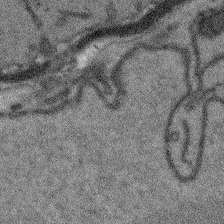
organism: Arabidopsis thaliana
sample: Root tip